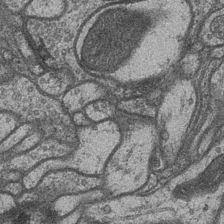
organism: Drosophila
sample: Optic medulla